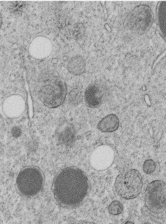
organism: C. elegans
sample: C. elegans embryo early stage